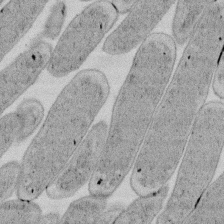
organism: E. coli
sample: Bacterial nucleoid